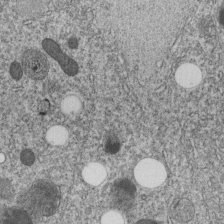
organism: C. elegans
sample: C. elegans embryo early stage